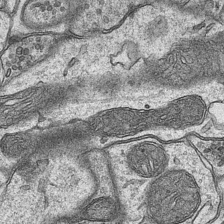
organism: Mouse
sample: CA1 Hippocampus